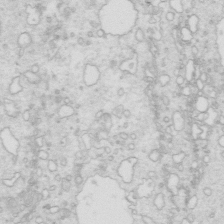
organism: Mouse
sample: Multiciliated cells